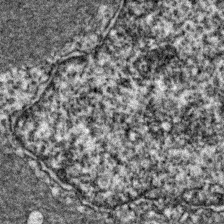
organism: Zebrafish